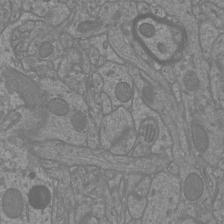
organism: Mouse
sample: Cortical neurons